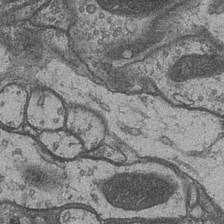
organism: Drosophila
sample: Optic medulla